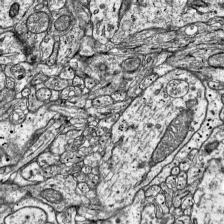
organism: Mouse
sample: Visual Cortex